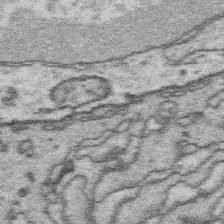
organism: Platynereis dumerilii